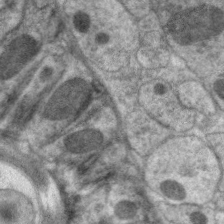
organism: C. elegans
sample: Pharynx